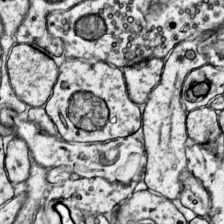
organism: Mouse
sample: Primary visual cortex